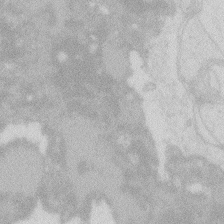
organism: Zebrafish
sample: Macrophage